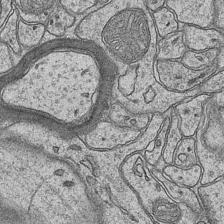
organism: Mouse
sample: CA1 Hippocampus